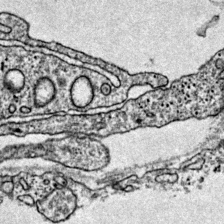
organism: Mouse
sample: Primary visual cortex